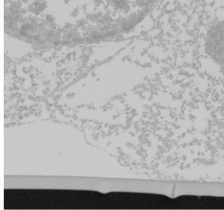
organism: Mouse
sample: Cancer cell death in ED-1 cells